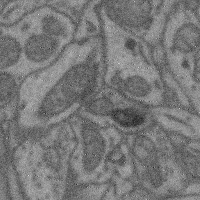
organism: Mouse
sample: Cerebral cortex